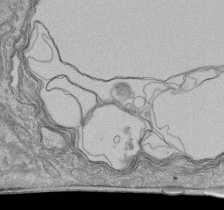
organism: Human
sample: Retinal organoid Rod and Cone cells